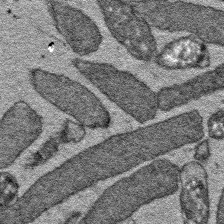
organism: E. coli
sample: E. Coli Bacteria